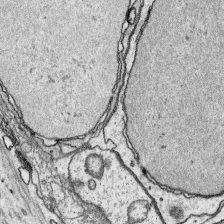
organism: Platynereis dumerilii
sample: Parapodia